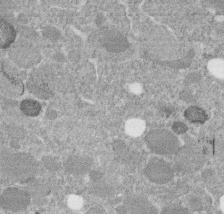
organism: C. elegans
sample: C. elegans embryo early stage